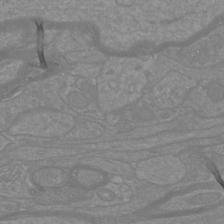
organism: Mouse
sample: Cortical neurons